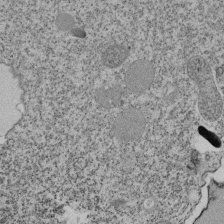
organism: Tetrahymena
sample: Cilia in tetrahymena